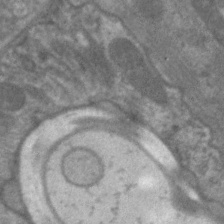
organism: C. elegans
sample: Pharynx